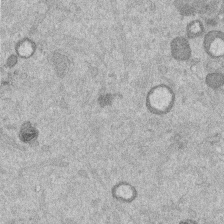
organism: Mouse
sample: Dividing mouse embryo 1 cell stage